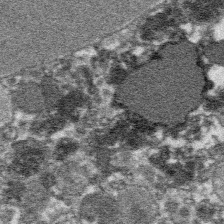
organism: Platynereis dumerilii